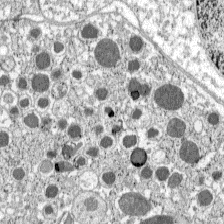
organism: C57BL Mouse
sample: Pancreatic islet